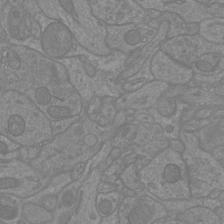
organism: Mouse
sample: Cortical neurons